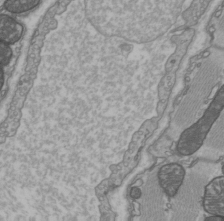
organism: C57BL Mouse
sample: Heart